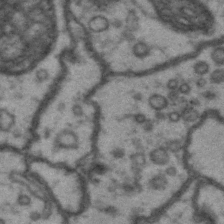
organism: Drosophila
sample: Brain